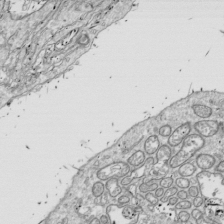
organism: Drosophila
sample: Cell division; meiosis; drosophila spermatocytes